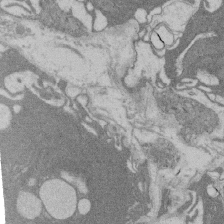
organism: Rat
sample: Salivary granule